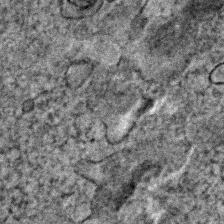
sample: Trachea